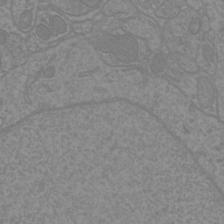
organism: Mouse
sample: Cortical neurons